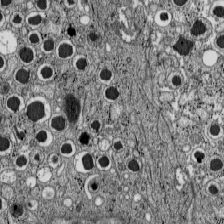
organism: C57BL Mouse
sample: Pancreatic islet